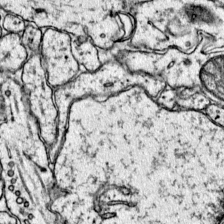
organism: Mouse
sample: Primary visual cortex